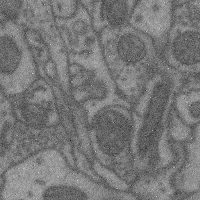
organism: Mouse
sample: Cerebral cortex